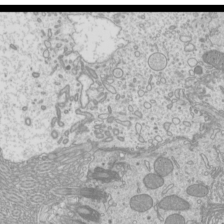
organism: Mouse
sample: Cilia; mouse epididymis